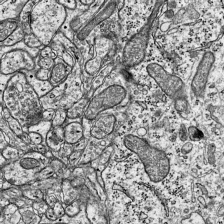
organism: Mouse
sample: Visual Cortex